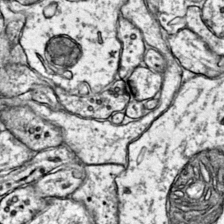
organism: Mouse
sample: Primary visual cortex